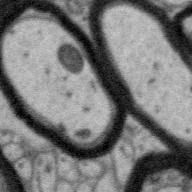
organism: Zebra finch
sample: Brain